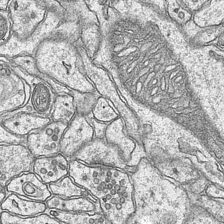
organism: Mouse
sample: CA1 Hippocampus